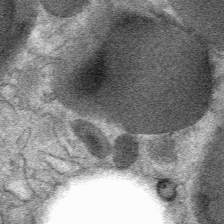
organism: Mouse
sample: Mouse Salivary gland